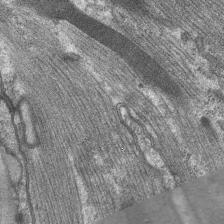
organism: C. elegans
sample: Pharynx